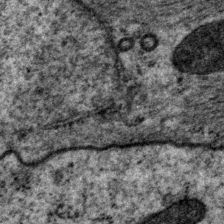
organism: P. pacificus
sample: Pharynx